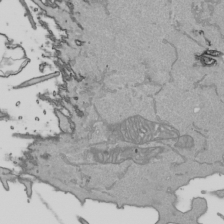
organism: Human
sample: Mitochondria in HCT116 cells